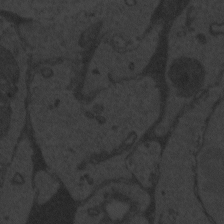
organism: Zebrafish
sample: Macrophage infected with Toxoplasma gondii